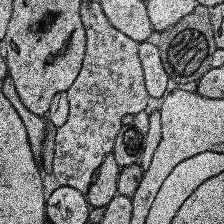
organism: Human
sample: Temporal Lobe